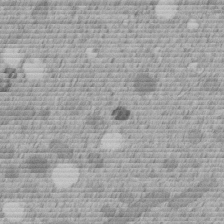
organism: C. elegans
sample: C. elegans embryo early stage